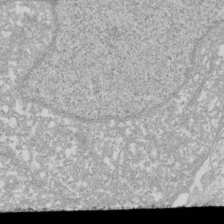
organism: Xenopus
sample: Cilia; centrioles in frog embryo cells